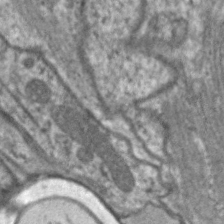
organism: C. elegans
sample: Pharynx